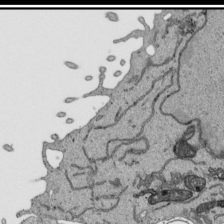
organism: Human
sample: Mitochondria in HCT116 cells